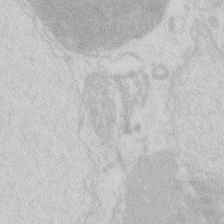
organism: Zebrafish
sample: Macrophage